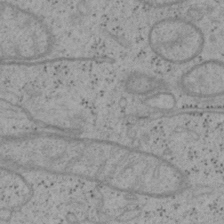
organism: Human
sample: HeLa cells